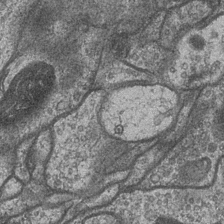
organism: Drosophila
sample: Optic medulla